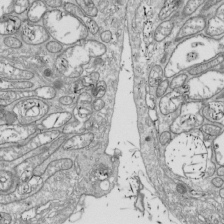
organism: Drosophila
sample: Cell division; meiosis; drosophila spermatocytes